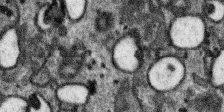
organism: Human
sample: Lung epithelial cells infected with SARS-CoV-2